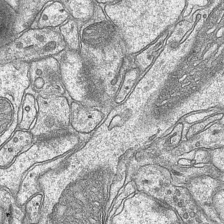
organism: Mouse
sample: CA1 Hippocampus